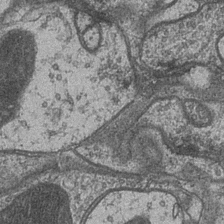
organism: Drosophila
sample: Optic medulla